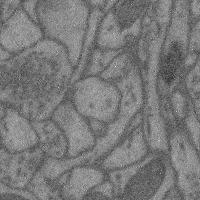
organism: Mouse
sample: Cerebral cortex